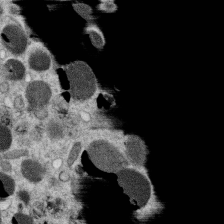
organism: C. elegans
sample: C. elegans oocyte; sperm cells